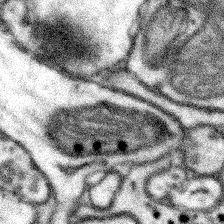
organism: Mouse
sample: Somatosensory cortex neuropil